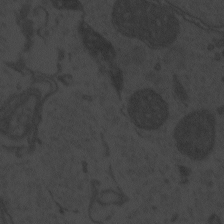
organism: Zebrafish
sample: Macrophage infected with Toxoplasma gondii